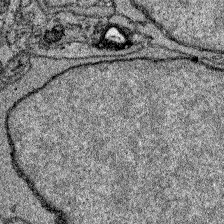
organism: Zebrafish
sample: Larval olfactory bulb